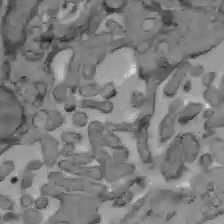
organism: C57BL Mouse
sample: Liver